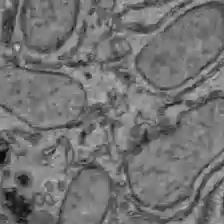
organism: C57BL Mouse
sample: Liver